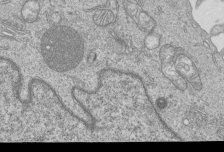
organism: Human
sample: MDA-MB-231 cells